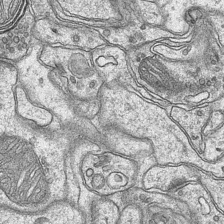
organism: Mouse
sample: CA1 Hippocampus